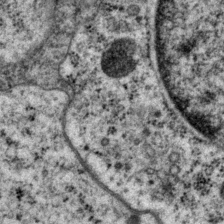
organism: P. pacificus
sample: Pharynx